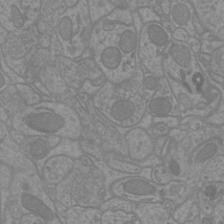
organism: Mouse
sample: Cortical neurons